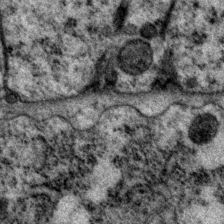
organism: P. pacificus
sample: Pharynx